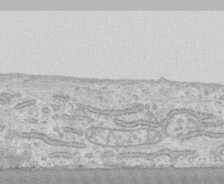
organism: Human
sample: CRL-1474